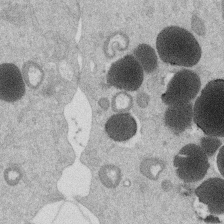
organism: Mouse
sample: Dividing mouse embryo 1 cell stage